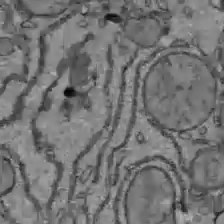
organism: C57BL Mouse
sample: Liver